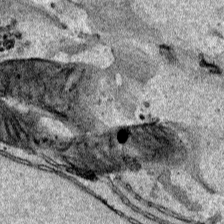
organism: Human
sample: Mitochondria in HCT116 cells